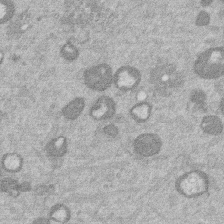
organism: Mouse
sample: Dividing mouse embryo 1 cell stage